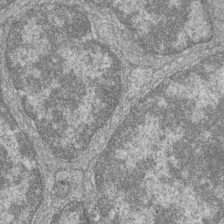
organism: Zebrafish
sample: Cilia; retinal pigment epithelium